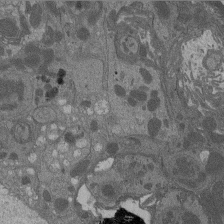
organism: Drosophila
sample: Antenna